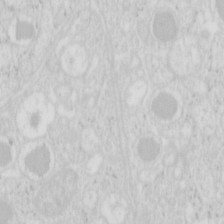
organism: Mouse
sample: Pancreas